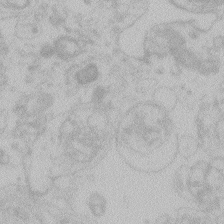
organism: Zebrafish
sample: Macrophage infected with Toxoplasma gondii